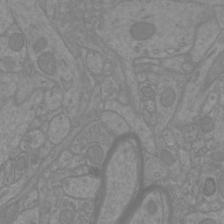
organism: Mouse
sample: Cortical neurons